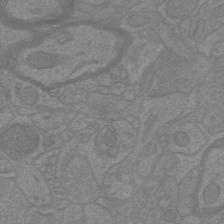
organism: Mouse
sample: Cortical neurons